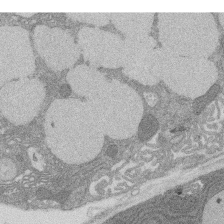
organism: Rat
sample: Salivary granule